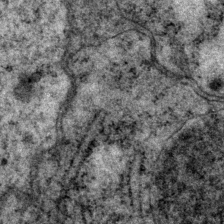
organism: P. pacificus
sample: Pharynx